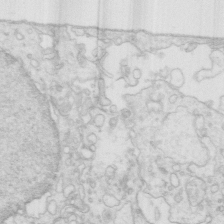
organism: Mouse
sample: Multiciliated cells